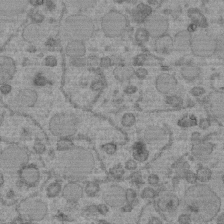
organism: C. elegans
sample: C. elegans embryo early stage